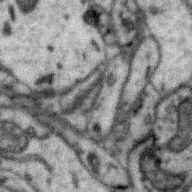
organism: Zebra finch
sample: Brain